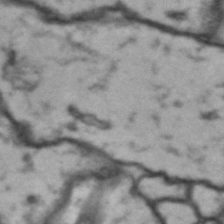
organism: Drosophila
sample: Brain